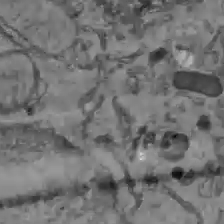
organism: C57BL Mouse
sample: Liver